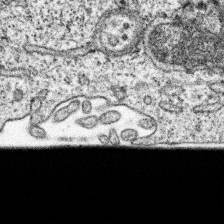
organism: Human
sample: HeLa cells